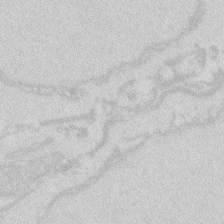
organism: Zebrafish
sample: Macrophage